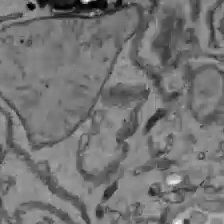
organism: C57BL Mouse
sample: Liver